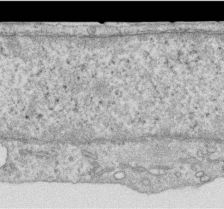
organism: Human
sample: Centriole in RPE cells